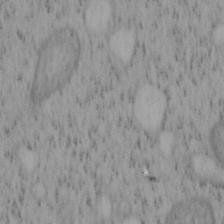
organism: Mouse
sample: OT-I killer T cells with ID8 ovarian cancer cells